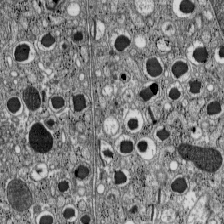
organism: C57BL Mouse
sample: Pancreatic islet